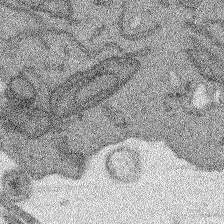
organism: Human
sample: HeLa cells